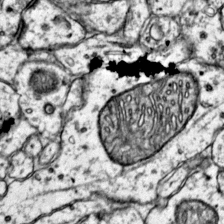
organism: Mouse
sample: Primary visual cortex